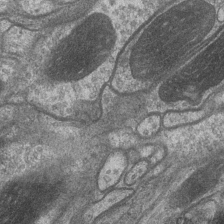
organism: Drosophila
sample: Optic medulla